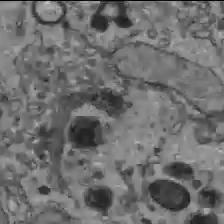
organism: C57BL Mouse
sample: Liver